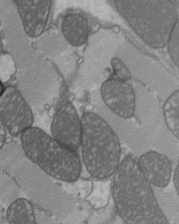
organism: C57BL Mouse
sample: Heart